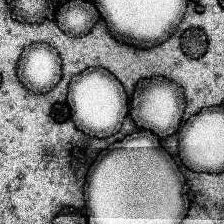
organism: Human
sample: Temporal Lobe